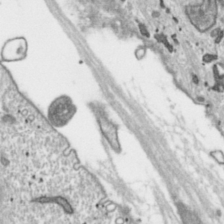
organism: Toxoplasma gondii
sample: Parasites in a vacuole inside a host cell